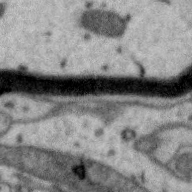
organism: Zebra finch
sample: Brain